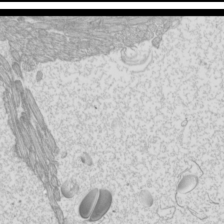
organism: Mouse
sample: Cilia; mouse epididymis